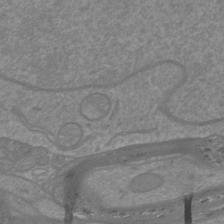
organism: Mouse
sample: Cortical neurons